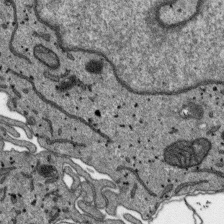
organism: Human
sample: Lung epithelial cells, uninfected (mock) control